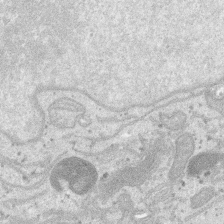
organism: Human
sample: Lung epithelial cells infected with SARS-CoV-2